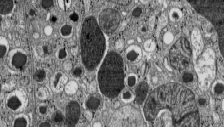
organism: C57BL Mouse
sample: Pancreatic islet